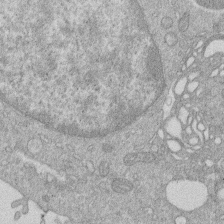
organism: Human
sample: Macrophage cells